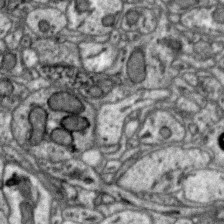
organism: Zebra finch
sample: Brain